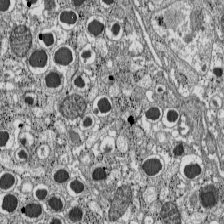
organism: C57BL Mouse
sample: Pancreatic islet